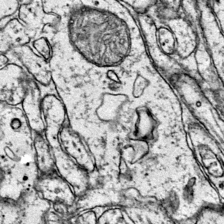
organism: Mouse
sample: Primary visual cortex